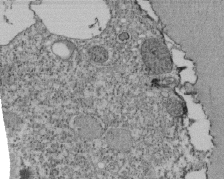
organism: Tetrahymena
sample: Cilia in tetrahymena